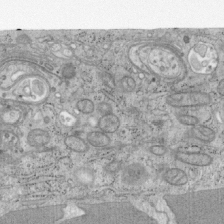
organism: Human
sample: HeLa cells